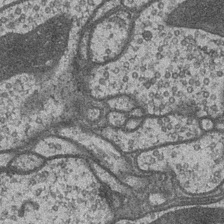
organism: Drosophila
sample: Optic medulla